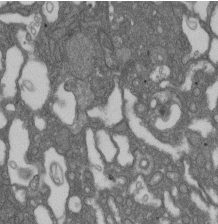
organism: Drosophila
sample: Nephrocyte